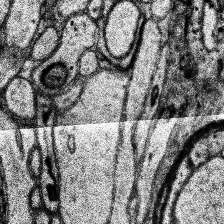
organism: Human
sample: Temporal Lobe